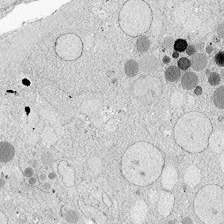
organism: Zebrafish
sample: Whole-Brain